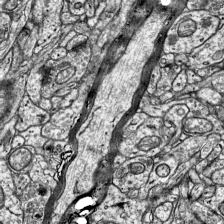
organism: Mouse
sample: Visual Cortex